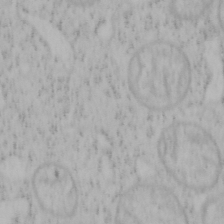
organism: Mouse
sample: OT-I killer T cells with ID8 ovarian cancer cells